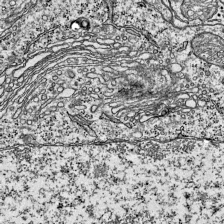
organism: Mouse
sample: Visual Cortex